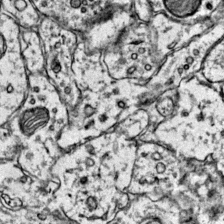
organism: Mouse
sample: Primary visual cortex